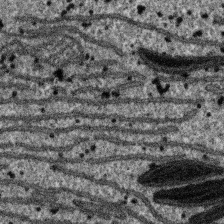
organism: Human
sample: Lung epithelial cells infected with SARS-CoV-2